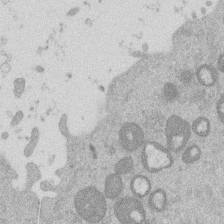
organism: Mouse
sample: Dividing mouse embryo 1 cell stage